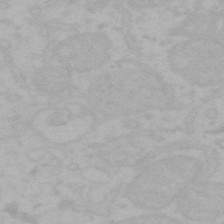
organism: Mouse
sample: Choroid plexus